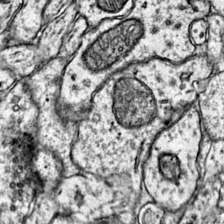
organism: Mouse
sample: Primary visual cortex